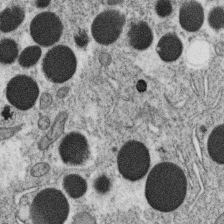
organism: C. elegans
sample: C. elegans oocyte; sperm cells